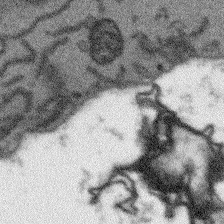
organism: Arabidopsis thaliana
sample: Root tip